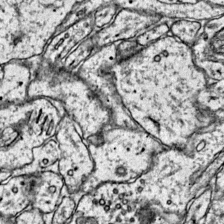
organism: Mouse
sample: Primary visual cortex